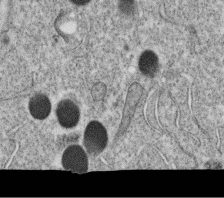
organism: C. elegans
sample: C. elegans oocyte; sperm cells